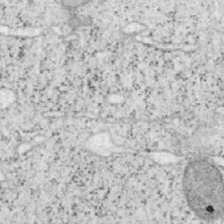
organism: Mouse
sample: OT-I killer T cells with ID8 ovarian cancer cells